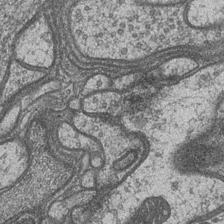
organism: Drosophila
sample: Optic medulla